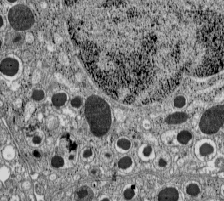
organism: C57BL Mouse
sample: Pancreatic islet